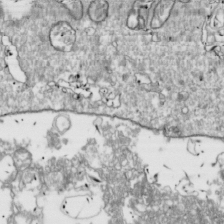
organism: Drosophila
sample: Cell division; meiosis; drosophila spermatocytes